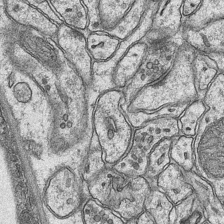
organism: Mouse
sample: CA1 Hippocampus